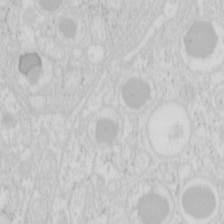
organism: Mouse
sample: Pancreas